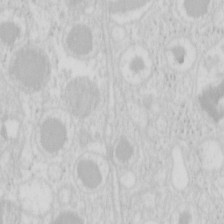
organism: Mouse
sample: Pancreas